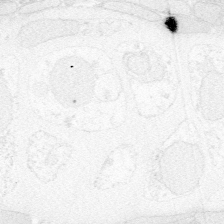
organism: Zebrafish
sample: Whole-Brain